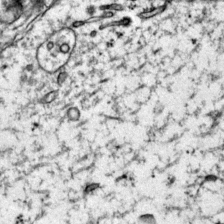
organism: Mouse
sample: Primary visual cortex